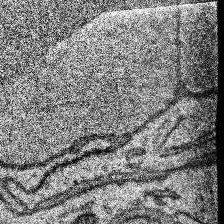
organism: Human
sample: Temporal Lobe